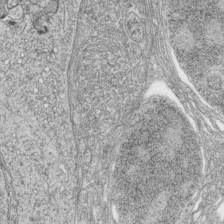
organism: Zebrafish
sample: synaptic ribbons in rod cells and cone cells